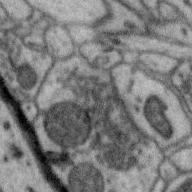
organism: Zebra finch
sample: Brain